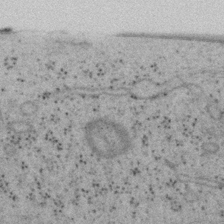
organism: Human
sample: HeLa cells